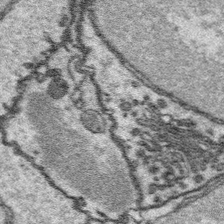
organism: Platynereis dumerilii